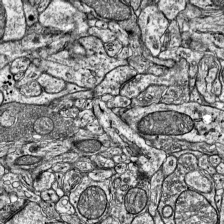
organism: Mouse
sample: Visual Cortex